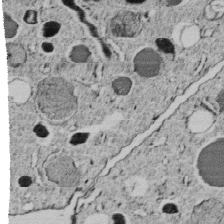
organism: C. elegans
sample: C. elegans embryo early stage